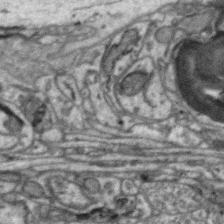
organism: Zebra finch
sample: Brain